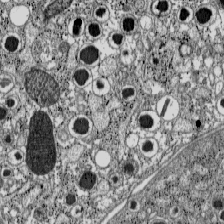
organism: C57BL Mouse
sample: Pancreatic islet